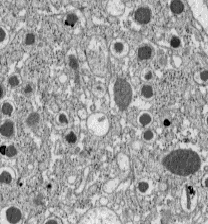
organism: C57BL Mouse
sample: Pancreatic islet